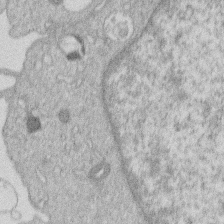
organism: Human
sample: Macrophage cells